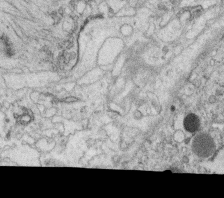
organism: C. elegans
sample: C. elegans oocyte; sperm cells